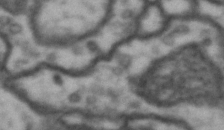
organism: Drosophila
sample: Brain